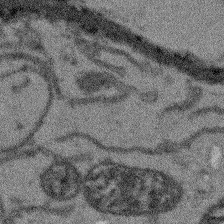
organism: Arabidopsis thaliana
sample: Root tip